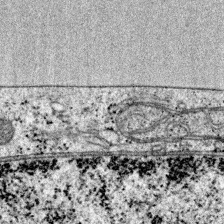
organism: Human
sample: HeLa cells